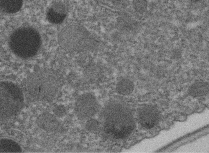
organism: C. elegans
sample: C. elegans embryo early stage